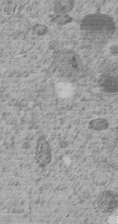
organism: C. elegans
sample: C. elegans embryo early stage